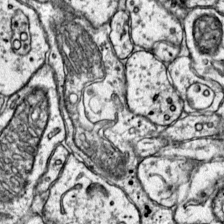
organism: Mouse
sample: Primary visual cortex